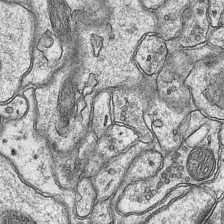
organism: Mouse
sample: CA1 Hippocampus